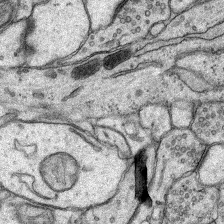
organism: Rat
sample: Hippocampus